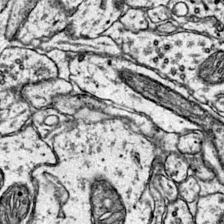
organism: Mouse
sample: Primary visual cortex